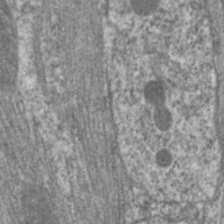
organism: C. elegans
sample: Pharynx